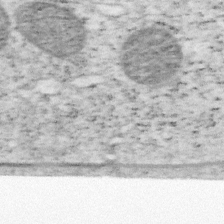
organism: Mouse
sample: OT-I killer T cells with ID8 ovarian cancer cells